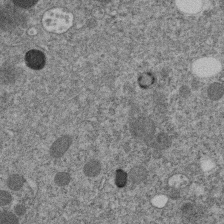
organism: C. elegans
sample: C. elegans embryo early stage